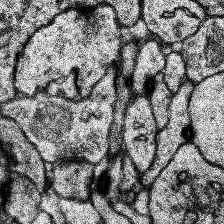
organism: Human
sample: Temporal Lobe